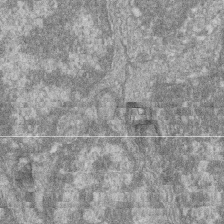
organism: Zebrafish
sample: Cilia; retinal pigment epithelium